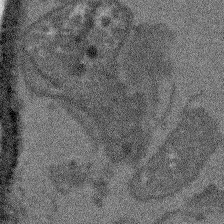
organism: Arabidopsis thaliana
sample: Root tip